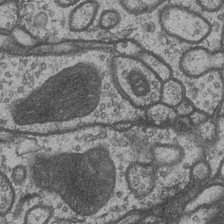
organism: Drosophila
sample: Optic medulla